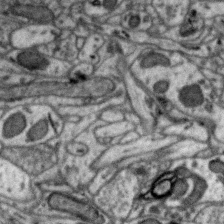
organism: Zebra finch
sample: Brain